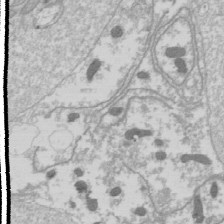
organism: Drosophila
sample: Cell division; meiosis; drosophila spermatocytes